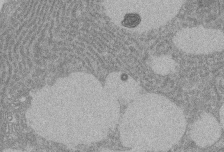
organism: Rat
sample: Salivary granule